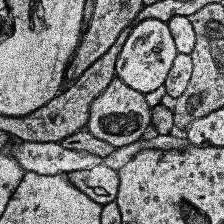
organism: Human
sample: Temporal Lobe